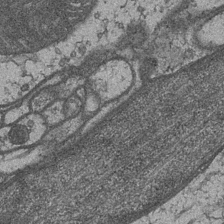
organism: Drosophila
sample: Optic medulla